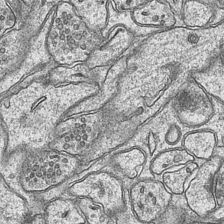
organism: Mouse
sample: CA1 Hippocampus